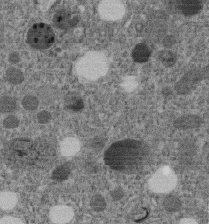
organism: C. elegans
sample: C. elegans embryo early stage